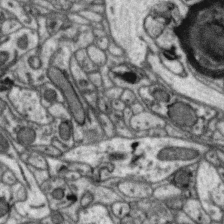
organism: Zebra finch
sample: Brain